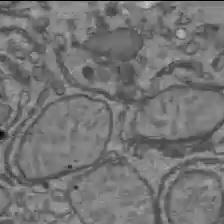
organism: C57BL Mouse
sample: Liver